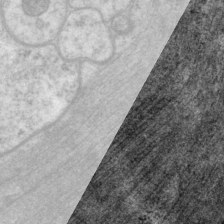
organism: P. pacificus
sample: Pharynx